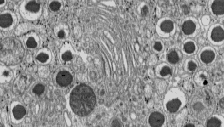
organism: C57BL Mouse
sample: Pancreatic islet